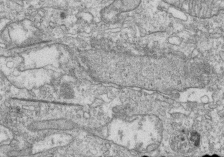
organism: Human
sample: HeLa cell HIV synapse